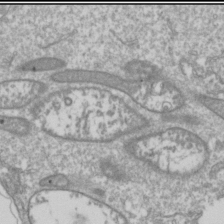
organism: Drosophila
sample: Cell division; meiosis; drosophila spermatocytes